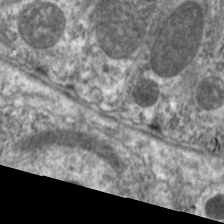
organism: C. elegans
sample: Pharynx